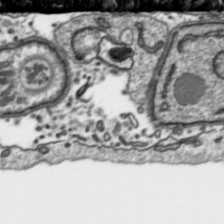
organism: Toxoplasma gondii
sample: Parasites in a vacuole inside a host cell